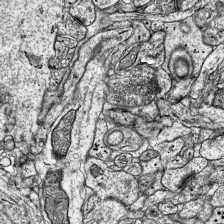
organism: Mouse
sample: Visual Cortex